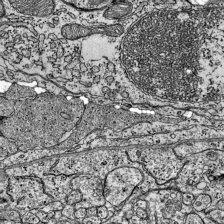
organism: Mouse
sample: Visual Cortex